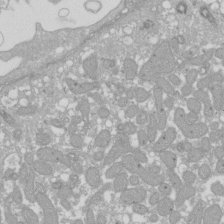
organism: Xenopus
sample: Cilia; centrioles in frog embryo cells